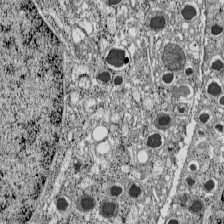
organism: C57BL Mouse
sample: Pancreatic islet